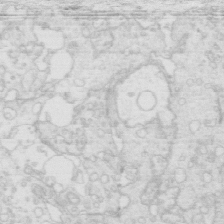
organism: Mouse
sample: Multiciliated cells